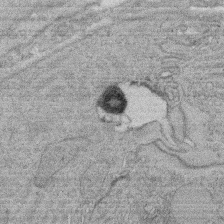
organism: Rat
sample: Salivary granule